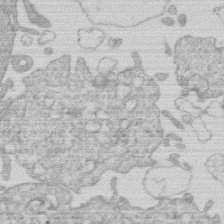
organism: Human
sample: Macrophage cells